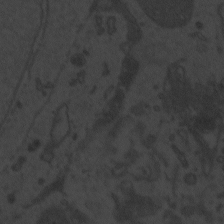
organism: Zebrafish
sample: Macrophage infected with Toxoplasma gondii